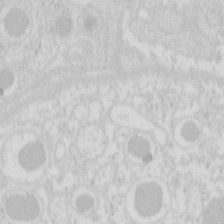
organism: Mouse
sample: Pancreas